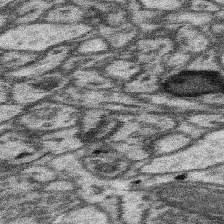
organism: Mouse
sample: Somatosensory cortex neuropil